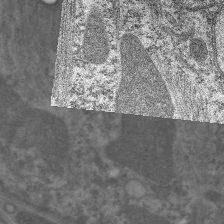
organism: C. elegans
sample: Pharynx